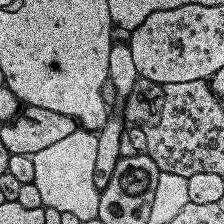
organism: Human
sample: Temporal Lobe